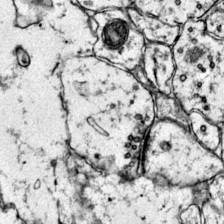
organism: Mouse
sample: Primary visual cortex